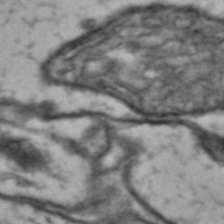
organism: Drosophila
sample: Brain